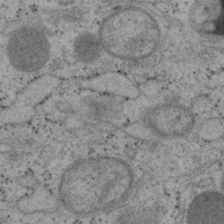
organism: Human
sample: HeLa cells